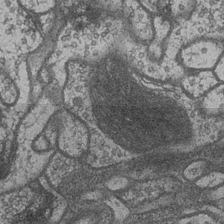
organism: Drosophila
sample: Optic medulla